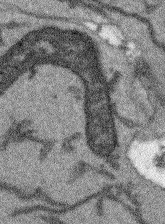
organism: Arabidopsis thaliana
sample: Root tip